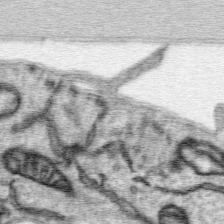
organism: Human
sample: HeLa cells